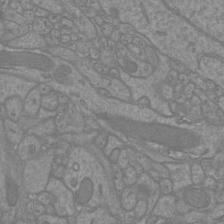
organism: Mouse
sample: Cortical neurons